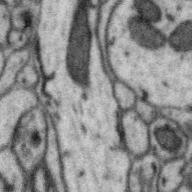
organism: Zebra finch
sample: Brain